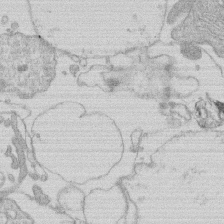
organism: Human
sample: Macrophage cells